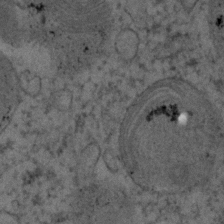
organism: Human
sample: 1205lu cells